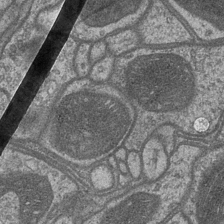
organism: Drosophila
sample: Optic medulla